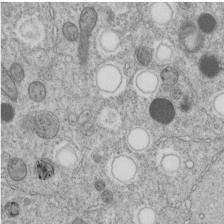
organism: C. elegans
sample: C. elegans embryo early stage